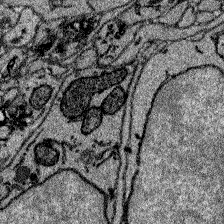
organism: Zebrafish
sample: Larval olfactory bulb